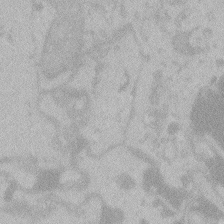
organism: Zebrafish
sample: Macrophage infected with Toxoplasma gondii